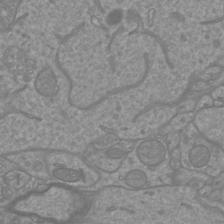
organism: Mouse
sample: Cortical neurons